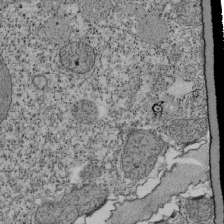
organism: Tetrahymena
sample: Cilia in tetrahymena